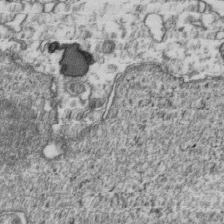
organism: Human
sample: Activated Jurkat CD4+ T cells